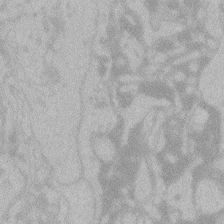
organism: Zebrafish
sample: Macrophage infected with Toxoplasma gondii